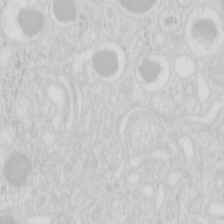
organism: Mouse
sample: Pancreas